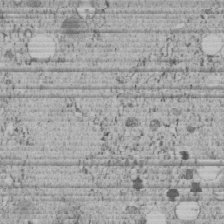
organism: C. elegans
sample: C. elegans embryo early stage